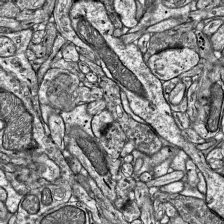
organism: Mouse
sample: Visual Cortex